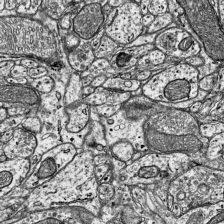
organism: Mouse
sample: Visual Cortex